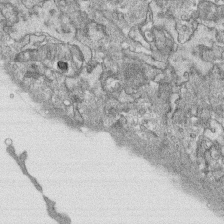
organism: Human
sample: CRL-1474